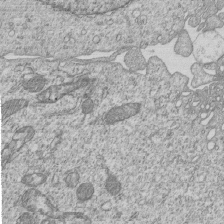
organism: Human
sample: MDA-MB-231 cells